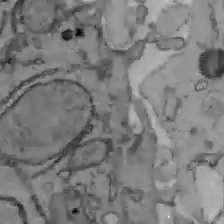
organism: C57BL Mouse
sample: Liver